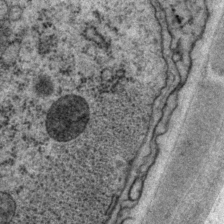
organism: P. pacificus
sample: Pharynx